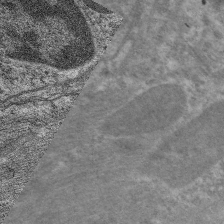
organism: C. elegans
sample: Pharynx